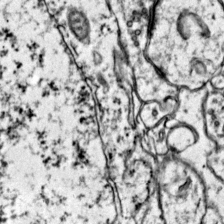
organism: Mouse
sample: Primary visual cortex